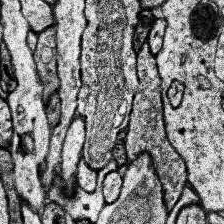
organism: Human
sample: Temporal Lobe